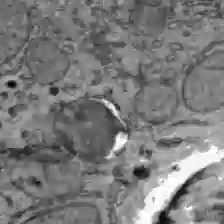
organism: C57BL Mouse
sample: Liver